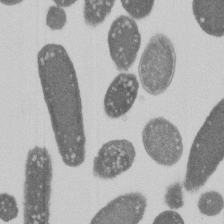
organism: E. coli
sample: Bacterial nucleoid